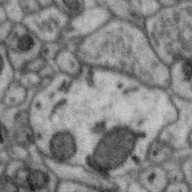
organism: Zebra finch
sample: Brain